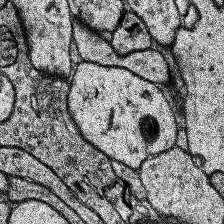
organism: Human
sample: Temporal Lobe